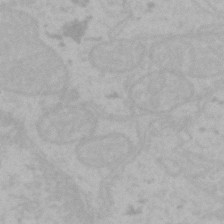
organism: Mouse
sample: Choroid plexus